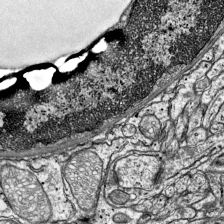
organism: Mouse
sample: Visual Cortex